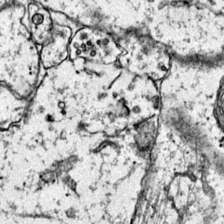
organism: Mouse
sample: Primary visual cortex